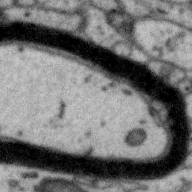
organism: Zebra finch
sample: Brain